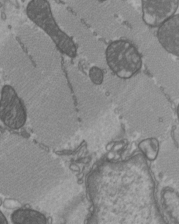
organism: C57BL Mouse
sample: Heart